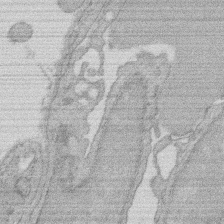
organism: Rat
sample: Salivary granule